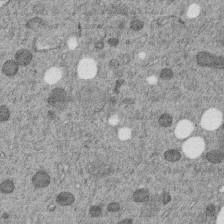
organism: C. elegans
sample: C. elegans embryo early stage